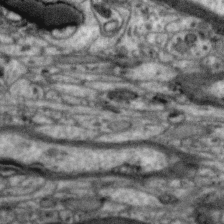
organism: Zebra finch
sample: Brain